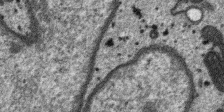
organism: Human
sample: Lung epithelial cells infected with SARS-CoV-2